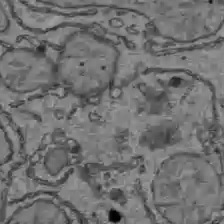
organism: C57BL Mouse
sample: Liver